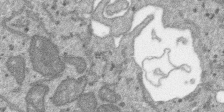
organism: Human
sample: Lung epithelial cells infected with SARS-CoV-2